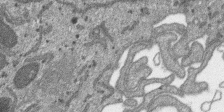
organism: Human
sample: Lung epithelial cells infected with SARS-CoV-2